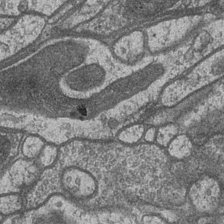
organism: Drosophila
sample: Optic medulla